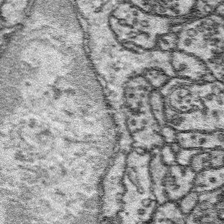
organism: Platynereis dumerilii